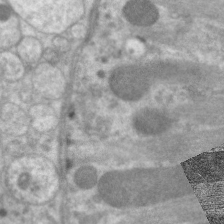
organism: C. elegans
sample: Pharynx